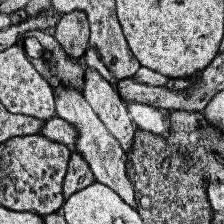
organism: Human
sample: Temporal Lobe